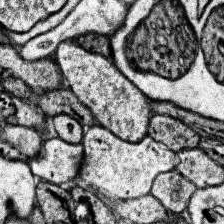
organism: Human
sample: Temporal Lobe